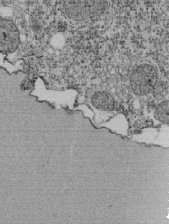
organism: Tetrahymena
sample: Cilia in tetrahymena